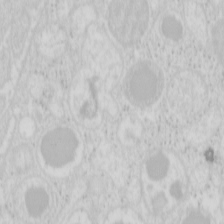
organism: Mouse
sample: Pancreas